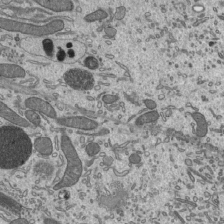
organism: Mouse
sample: Mouse epididymis efferent ductule cilia